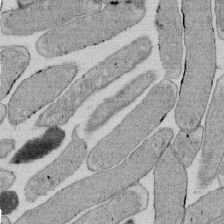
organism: E. coli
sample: Bacterial nucleoid